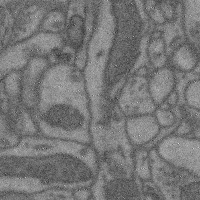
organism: Mouse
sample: Cerebral cortex